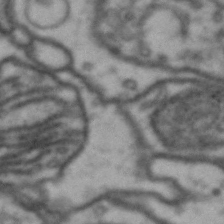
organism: Drosophila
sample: Brain